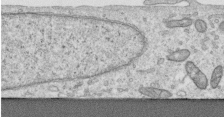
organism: Human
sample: Centriole in RPE cells